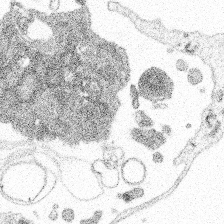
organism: Spongilla lacustris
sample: Multiple